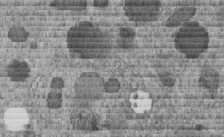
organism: C. elegans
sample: C. elegans embryo early stage